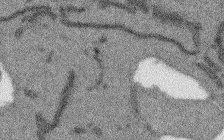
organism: Arabidopsis thaliana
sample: Root tip